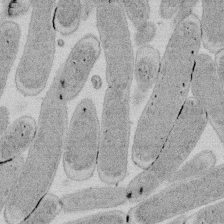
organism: E. coli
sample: Bacterial nucleoid